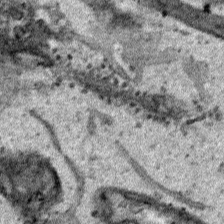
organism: Human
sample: Mitochondria in HCT116 cells